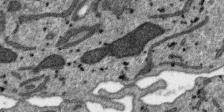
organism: Human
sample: Lung epithelial cells, uninfected (mock) control